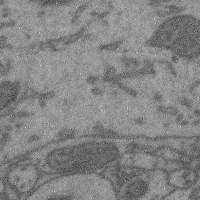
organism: Mouse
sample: Cerebral cortex